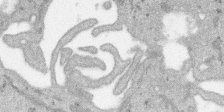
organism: Human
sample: Lung epithelial cells infected with SARS-CoV-2